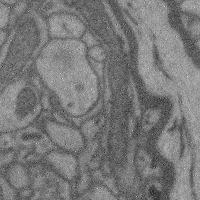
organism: Mouse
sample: Cerebral cortex